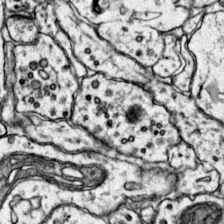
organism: Mouse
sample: Primary visual cortex